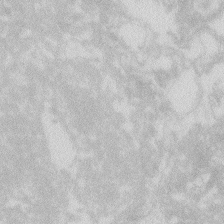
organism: Zebrafish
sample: Macrophage